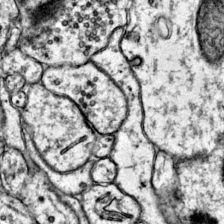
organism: Mouse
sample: Primary visual cortex